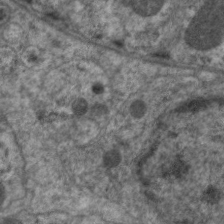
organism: C. elegans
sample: Pharynx